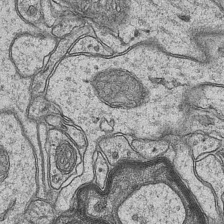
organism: Mouse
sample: CA1 Hippocampus